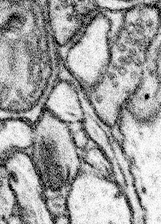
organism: Mouse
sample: Somatosensory cortex neuropil